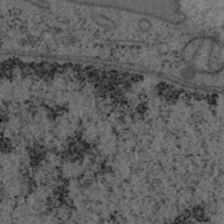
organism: Human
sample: HeLa cells